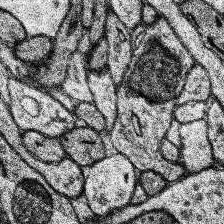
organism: Human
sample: Temporal Lobe